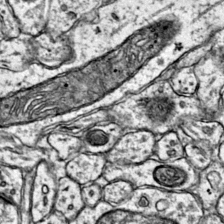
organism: Mouse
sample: Primary visual cortex